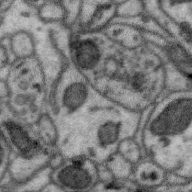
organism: Zebra finch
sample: Brain